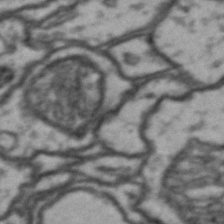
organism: Drosophila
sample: Brain